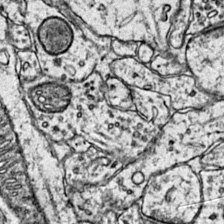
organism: Mouse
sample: Primary visual cortex